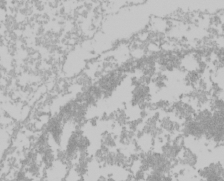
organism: Mouse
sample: Cancer cell death in ED-1 cells